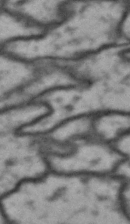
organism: Drosophila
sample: Brain